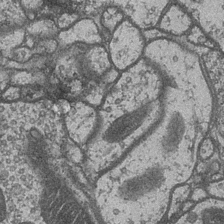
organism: Drosophila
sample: Optic medulla